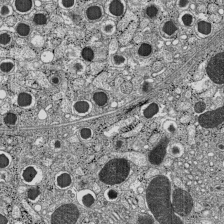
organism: C57BL Mouse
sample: Pancreatic islet